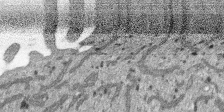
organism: Human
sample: Lung epithelial cells infected with SARS-CoV-2